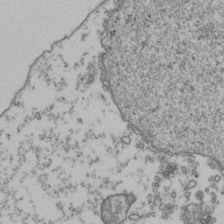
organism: Human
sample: Activated Jurkat CD4+ T cells